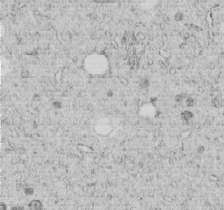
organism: C. elegans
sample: C. elegans embryo early stage